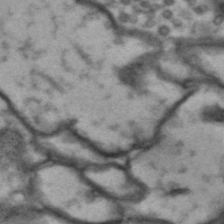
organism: Drosophila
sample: Brain